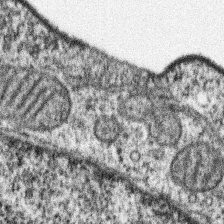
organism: Human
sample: HeLa cells